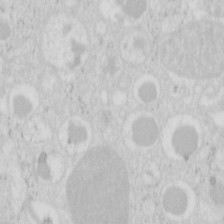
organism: Mouse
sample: Pancreas